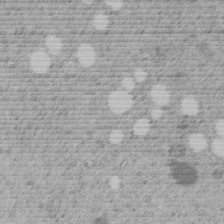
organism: C. elegans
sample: C. elegans embryo early stage